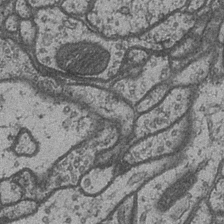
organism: Drosophila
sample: Optic medulla